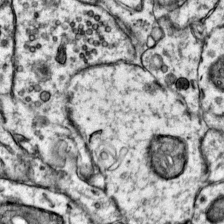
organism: Mouse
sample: Primary visual cortex